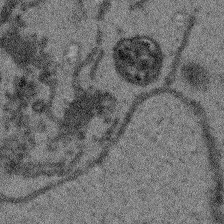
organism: Arabidopsis thaliana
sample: Root tip